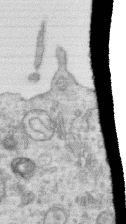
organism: Human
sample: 1205lu cells